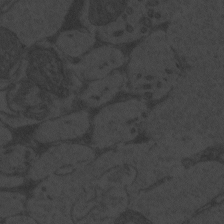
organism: Zebrafish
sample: Macrophage infected with Toxoplasma gondii